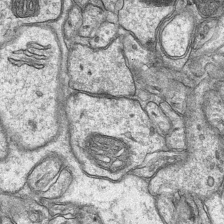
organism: Mouse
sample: CA1 Hippocampus